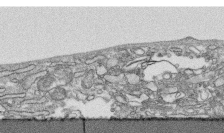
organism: Human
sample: CRL-1474